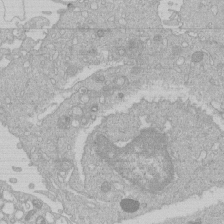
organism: Human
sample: Macrophage cells